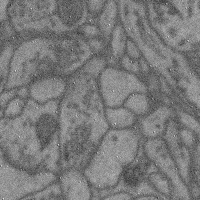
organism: Mouse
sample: Cerebral cortex